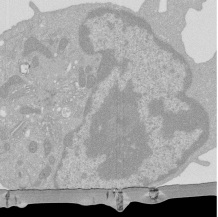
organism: Mouse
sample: Activated Pmel transgenic CD8+ T Cells